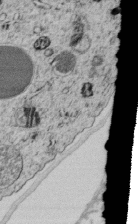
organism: C. elegans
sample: C. elegans embryo early stage